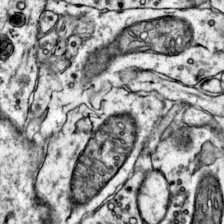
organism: Mouse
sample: Primary visual cortex